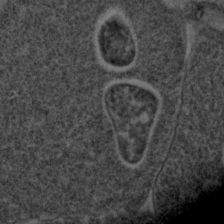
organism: C. elegans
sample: C. elegans embryo